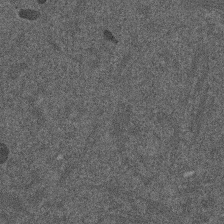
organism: Mouse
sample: Dividing mouse embryo 1 cell stage